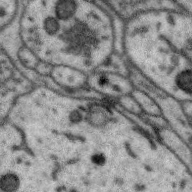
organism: Zebra finch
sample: Brain